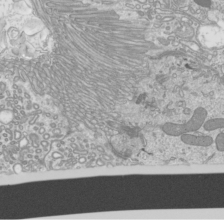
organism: Mouse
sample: Cilia; mouse epididymis